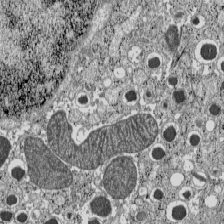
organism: C57BL Mouse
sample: Pancreatic islet